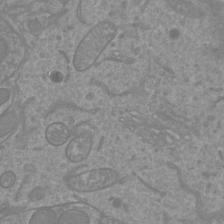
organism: Mouse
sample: Cortical neurons